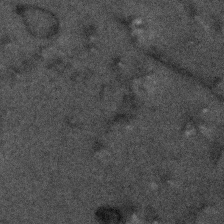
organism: Human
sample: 1205lu cells